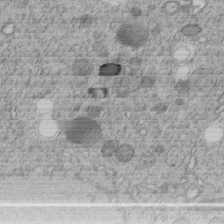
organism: C. elegans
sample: C. elegans embryo early stage